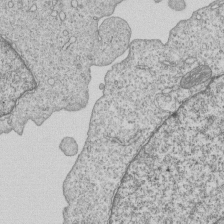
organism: Human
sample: MDA-MB-231 cells